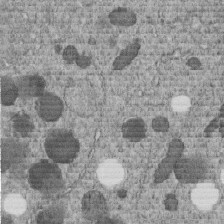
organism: C. elegans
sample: C. elegans embryo early stage